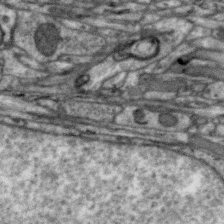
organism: Zebra finch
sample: Brain